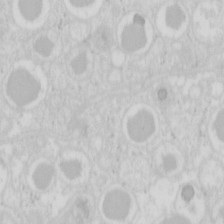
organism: Mouse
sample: Pancreas